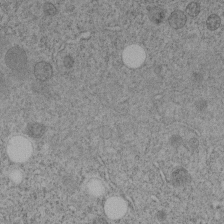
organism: C. elegans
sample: C. elegans embryo early stage